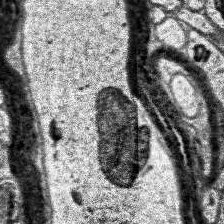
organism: Human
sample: Temporal Lobe